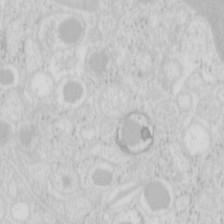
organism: Mouse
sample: Pancreas